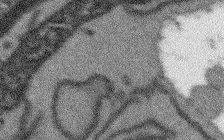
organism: Arabidopsis thaliana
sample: Root tip